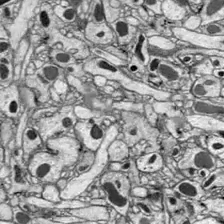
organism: Drosophila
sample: Optic lobe